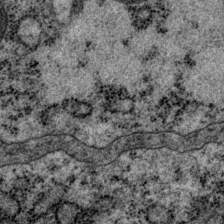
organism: P. pacificus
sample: Pharynx